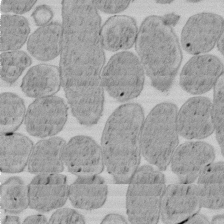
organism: E. coli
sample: Bacterial nucleoid